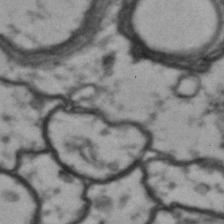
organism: Drosophila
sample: Brain